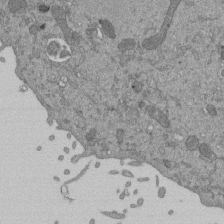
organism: Mouse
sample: ED-1 cell nuclei; centrioles